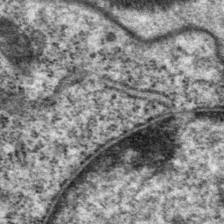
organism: P. pacificus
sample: Pharynx